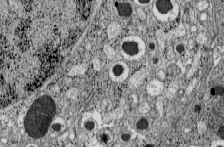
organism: C57BL Mouse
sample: Pancreatic islet